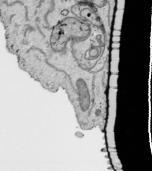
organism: Human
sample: Mitochondria in HCT116 cells